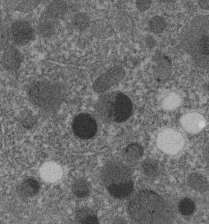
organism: C. elegans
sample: C. elegans embryo early stage